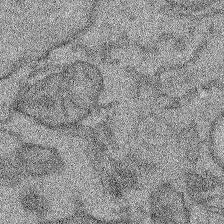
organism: Human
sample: HeLa cells